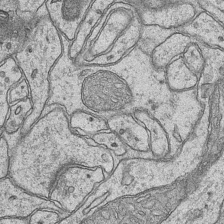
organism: Mouse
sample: CA1 Hippocampus